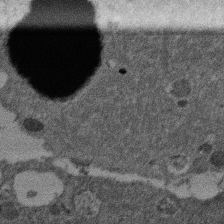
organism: Mouse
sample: Dividing mouse embryo 1 cell stage